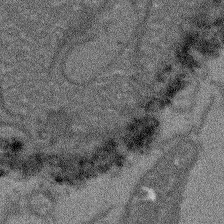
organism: Arabidopsis thaliana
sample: Root tip